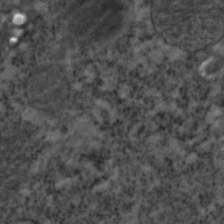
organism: C. elegans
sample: C. elegans embryo